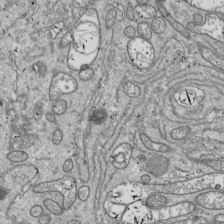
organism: Drosophila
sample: Cell division; meiosis; drosophila spermatocytes